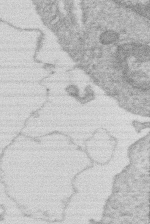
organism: Human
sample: Macrophage cells